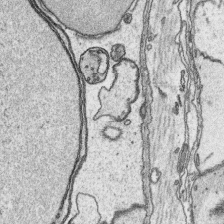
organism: Platynereis dumerilii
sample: Parapodia